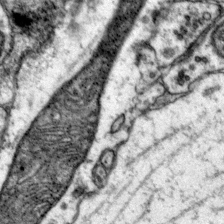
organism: Mouse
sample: Primary visual cortex